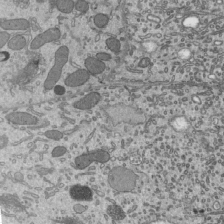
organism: Mouse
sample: Mouse epididymis efferent ductule cilia